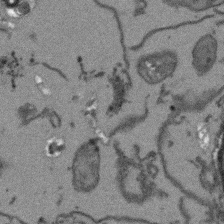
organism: Arabidopsis thaliana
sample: Root tip